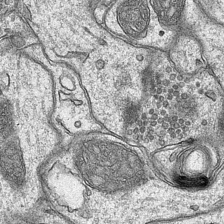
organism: Mouse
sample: CA1 Hippocampus